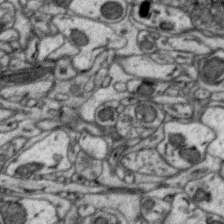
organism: Zebra finch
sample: Brain